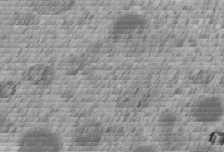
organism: C. elegans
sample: C. elegans embryo early stage